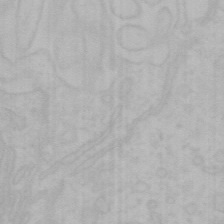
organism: Mouse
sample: Choroid plexus